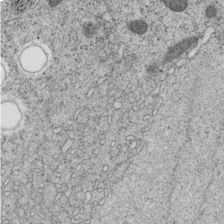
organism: C. elegans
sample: C. elegans embryo early stage